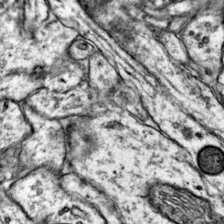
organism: Mouse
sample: Primary visual cortex